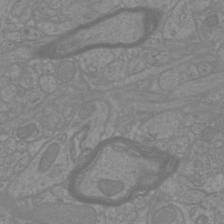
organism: Mouse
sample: Cortical neurons